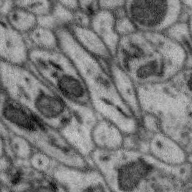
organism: Zebra finch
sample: Brain